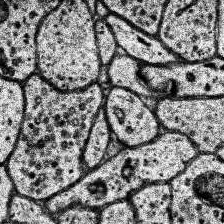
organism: Human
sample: Temporal Lobe